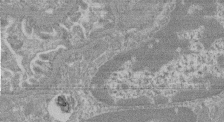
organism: Mouse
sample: Glomerulus